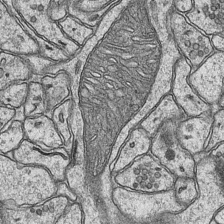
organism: Mouse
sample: CA1 Hippocampus